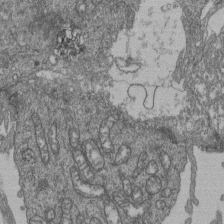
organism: Human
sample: Retinal organoid Rod and Cone cells